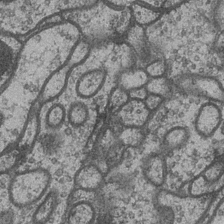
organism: Drosophila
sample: Optic medulla